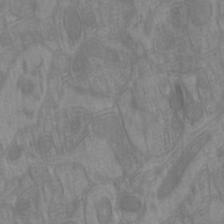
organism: Mouse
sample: Cortical neurons